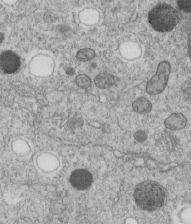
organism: C. elegans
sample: C. elegans embryo early stage